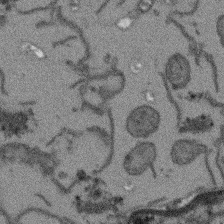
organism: Arabidopsis thaliana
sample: Root tip